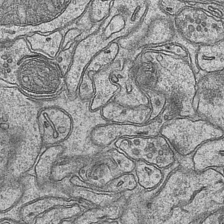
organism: Mouse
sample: CA1 Hippocampus